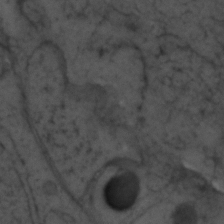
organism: Zebrafish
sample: Zebrafish embryo